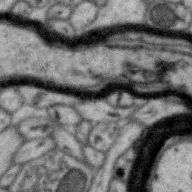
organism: Zebra finch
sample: Brain